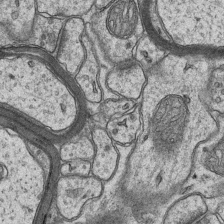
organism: Mouse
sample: CA1 Hippocampus